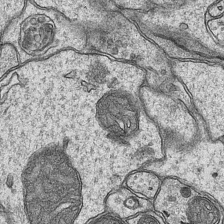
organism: Mouse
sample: CA1 Hippocampus